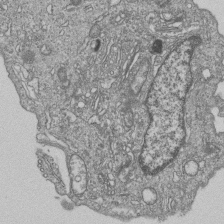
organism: Human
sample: MDA-MB-231 cells